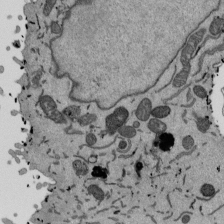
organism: Mouse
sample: ED-1 cell nuclei; centrioles